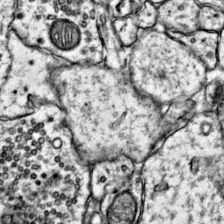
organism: Mouse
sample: Primary visual cortex